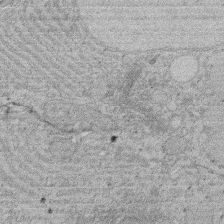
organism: Rat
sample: Salivary granule